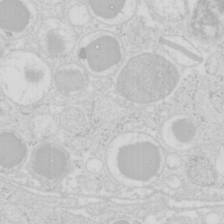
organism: Mouse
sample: Pancreas